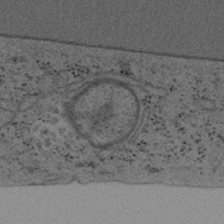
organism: Human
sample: HeLa cells